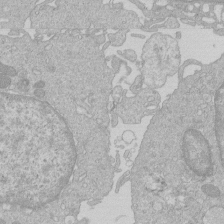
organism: Human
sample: Macrophage cells